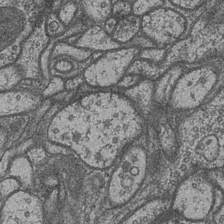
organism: Drosophila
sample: Optic medulla